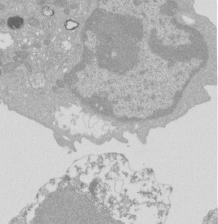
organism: Mouse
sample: Activated Pmel transgenic CD8+ T Cells